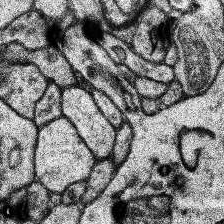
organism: Human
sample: Temporal Lobe